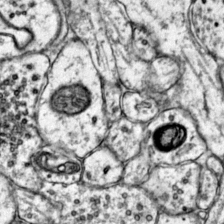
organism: Mouse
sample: Primary visual cortex